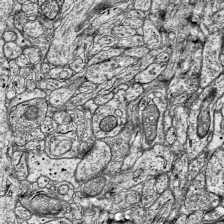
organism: Mouse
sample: Visual Cortex